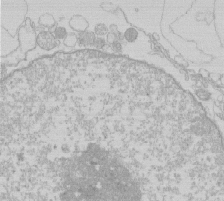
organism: Human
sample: Macrophage cells